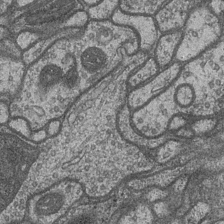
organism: Drosophila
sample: Optic medulla